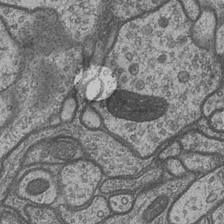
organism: Drosophila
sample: Optic medulla